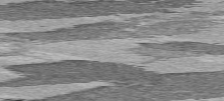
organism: C57BL Mouse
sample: Heart